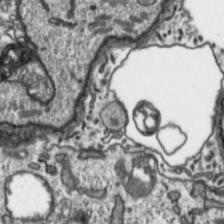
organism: Toxoplasma gondii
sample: Parasites in a vacuole inside a host cell